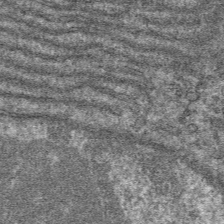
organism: Mouse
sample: Mouse hepatocytes